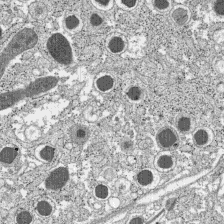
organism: C57BL Mouse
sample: Pancreatic islet